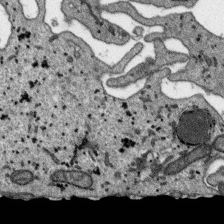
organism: Human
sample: Lung epithelial cells, uninfected (mock) control